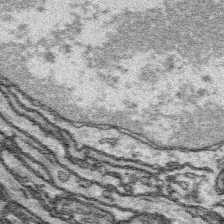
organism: Platynereis dumerilii